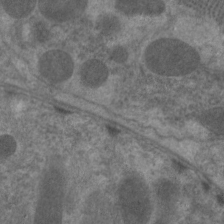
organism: C. elegans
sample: Pharynx